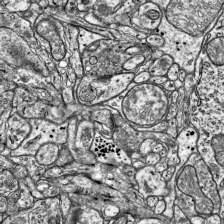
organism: Mouse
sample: Visual Cortex